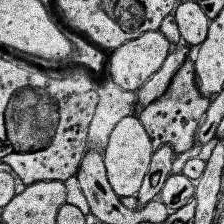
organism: Human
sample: Temporal Lobe